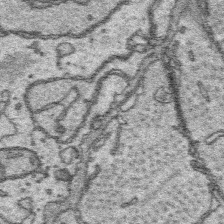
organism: Platynereis dumerilii